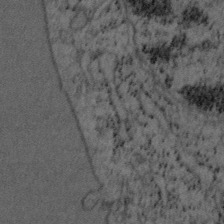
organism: Human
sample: HeLa cells